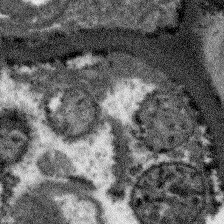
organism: Arabidopsis thaliana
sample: Root tip